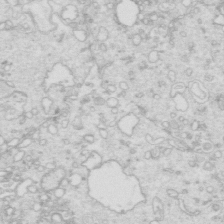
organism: Mouse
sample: Multiciliated cells